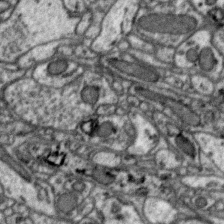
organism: Zebra finch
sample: Brain